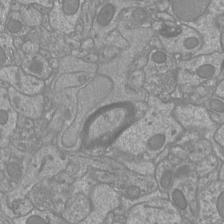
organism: Mouse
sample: Cortical neurons